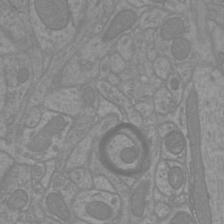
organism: Mouse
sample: Cortical neurons